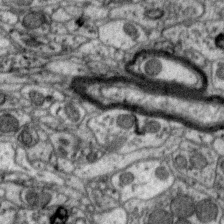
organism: Zebra finch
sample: Brain